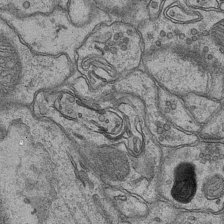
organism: Mouse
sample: CA1 Hippocampus